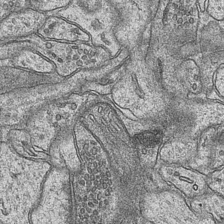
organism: Mouse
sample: CA1 Hippocampus